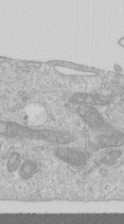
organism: Human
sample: Centriole in RPE cells